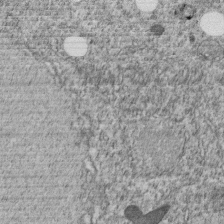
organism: C. elegans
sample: C. elegans embryo early stage